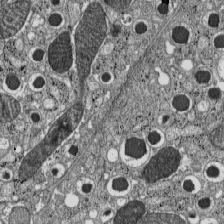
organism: C57BL Mouse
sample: Pancreatic islet